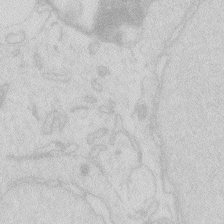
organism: Zebrafish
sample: Macrophage